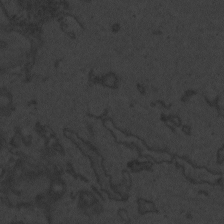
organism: Zebrafish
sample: Macrophage infected with Toxoplasma gondii